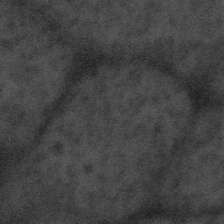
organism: Tuwongella immobilis